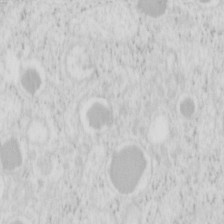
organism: Mouse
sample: Pancreas